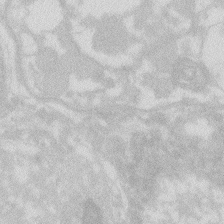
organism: Zebrafish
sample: Macrophage